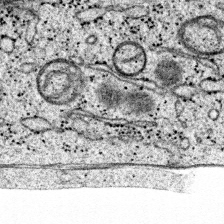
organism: Human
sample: HeLa cells